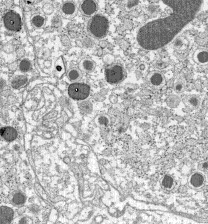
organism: C57BL Mouse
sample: Pancreatic islet